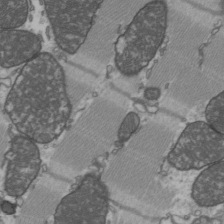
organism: C57BL Mouse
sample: Heart